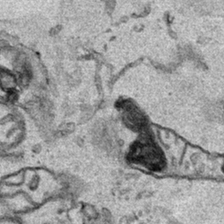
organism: Human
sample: Mitochondria in HCT116 cells